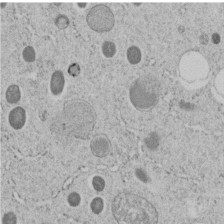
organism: C. elegans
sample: C. elegans embryo early stage